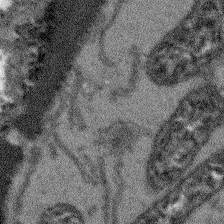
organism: Arabidopsis thaliana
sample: Root tip